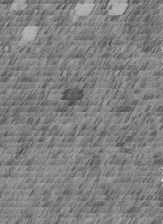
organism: C. elegans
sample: C. elegans embryo early stage